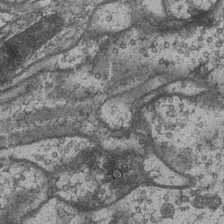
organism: Drosophila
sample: Optic medulla